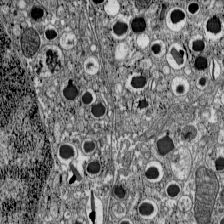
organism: C57BL Mouse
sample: Pancreatic islet